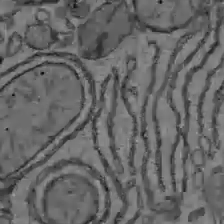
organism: C57BL Mouse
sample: Liver